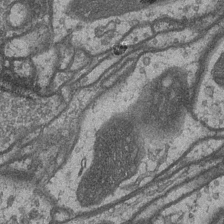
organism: Drosophila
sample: Optic medulla